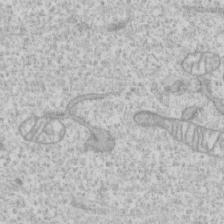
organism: Human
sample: CRL-1474